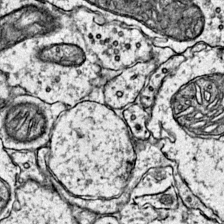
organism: Mouse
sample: Primary visual cortex